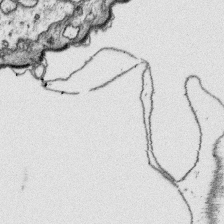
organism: Platynereis dumerilii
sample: Parapodia